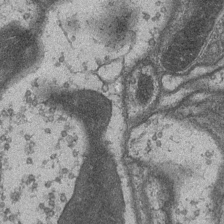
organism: Drosophila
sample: Optic medulla